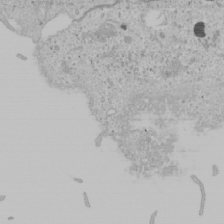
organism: Human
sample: Mitochondria in U2OS cells